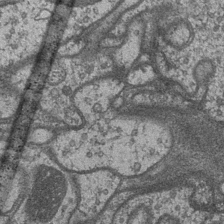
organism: Drosophila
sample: Optic medulla